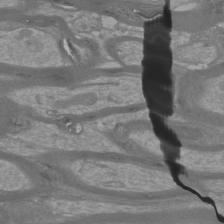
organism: Mouse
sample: Cortical neurons